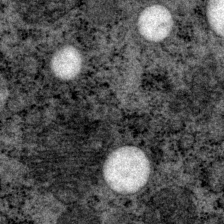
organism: P. pacificus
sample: Pharynx